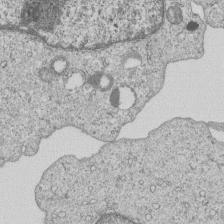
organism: Human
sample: MDA-MB-231 cells